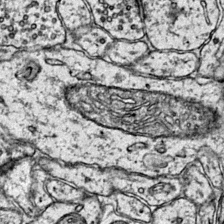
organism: Mouse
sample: Primary visual cortex